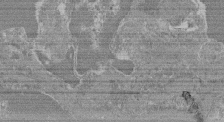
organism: Mouse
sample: Glomerulus